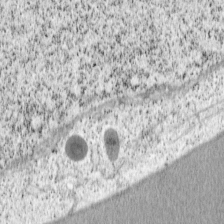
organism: African green monkey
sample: COS-7 cells